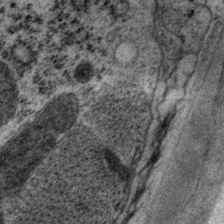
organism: P. pacificus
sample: Pharynx